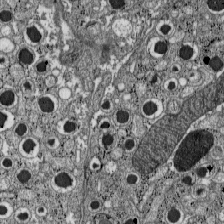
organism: C57BL Mouse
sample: Pancreatic islet